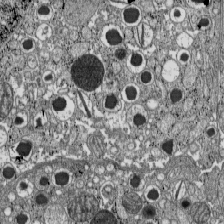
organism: C57BL Mouse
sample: Pancreatic islet